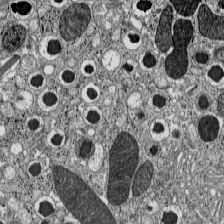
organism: C57BL Mouse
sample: Pancreatic islet